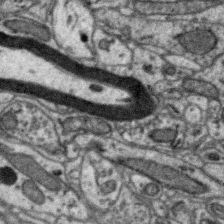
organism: Zebra finch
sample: Brain